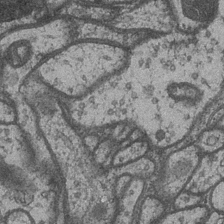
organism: Drosophila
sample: Optic medulla